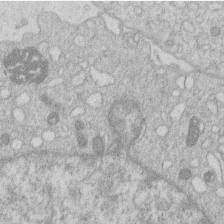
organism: Human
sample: Macrophage cells